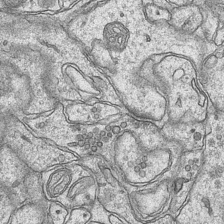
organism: Mouse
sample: CA1 Hippocampus